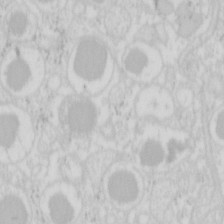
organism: Mouse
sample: Pancreas